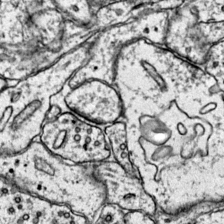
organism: Mouse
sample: Primary visual cortex